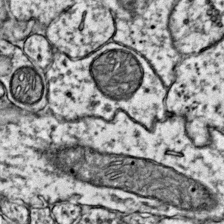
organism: Mouse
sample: Primary visual cortex